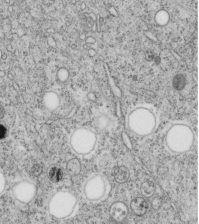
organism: C. elegans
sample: C. elegans embryo early stage